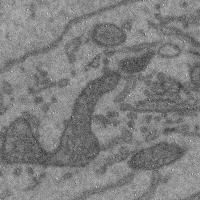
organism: Mouse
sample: Cerebral cortex